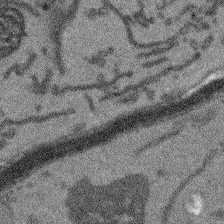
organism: Arabidopsis thaliana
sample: Root tip